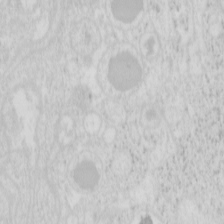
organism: Mouse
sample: Pancreas